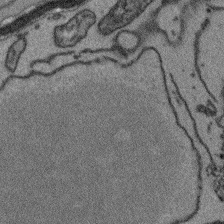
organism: Arabidopsis thaliana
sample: Root tip